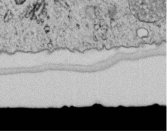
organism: C. elegans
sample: C. elegans embryo early stage